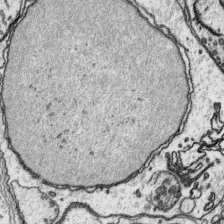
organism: Platynereis dumerilii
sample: Parapodia